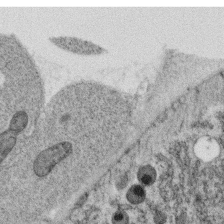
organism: C. elegans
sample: C. elegans oocyte; sperm cells